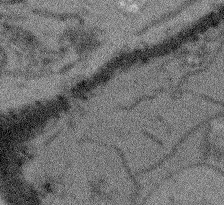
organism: Arabidopsis thaliana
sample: Root tip